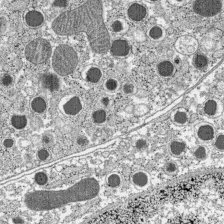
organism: C57BL Mouse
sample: Pancreatic islet